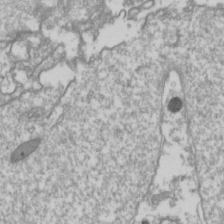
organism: Drosophila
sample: Cell division; meiosis; drosophila spermatocytes